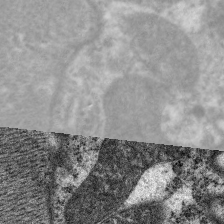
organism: C. elegans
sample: Pharynx